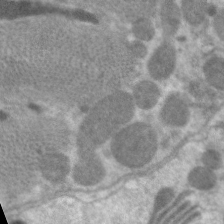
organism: C. elegans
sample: Pharynx